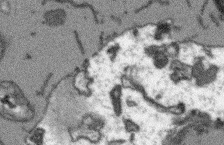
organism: Arabidopsis thaliana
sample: Root tip